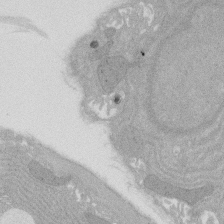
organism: Rat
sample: Salivary granule